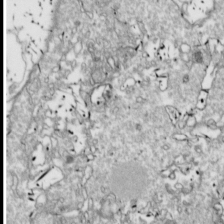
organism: Drosophila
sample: Cell division; meiosis; drosophila spermatocytes